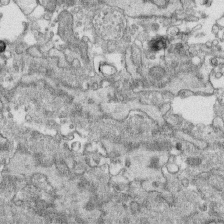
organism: Human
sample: CRL-1474